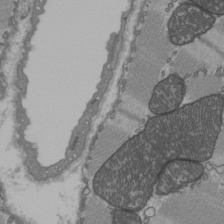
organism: C57BL Mouse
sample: Heart